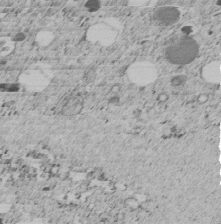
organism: C. elegans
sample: C. elegans embryo early stage